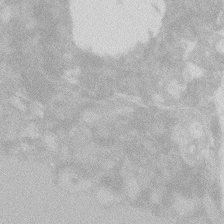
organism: Zebrafish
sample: Macrophage